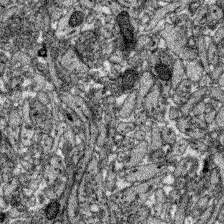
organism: Zebrafish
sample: Larval olfactory bulb